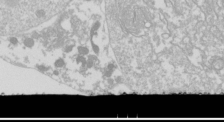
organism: Drosophila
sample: Cell division; meiosis; drosophila spermatocytes